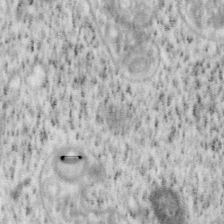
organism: Mouse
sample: OT-I killer T cells with ID8 ovarian cancer cells